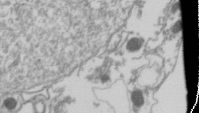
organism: Drosophila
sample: Cell division; meiosis; drosophila spermatocytes